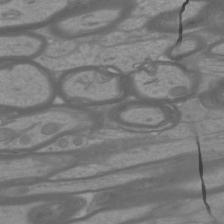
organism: Mouse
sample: Cortical neurons